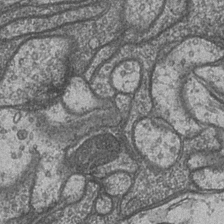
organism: Drosophila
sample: Optic medulla